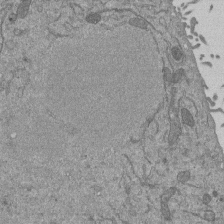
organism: Mouse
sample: ED-1 cell nuclei; centrioles